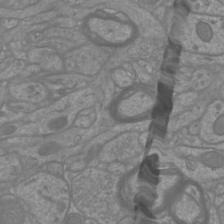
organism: Mouse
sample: Cortical neurons